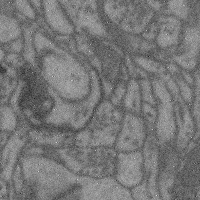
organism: Mouse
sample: Cerebral cortex